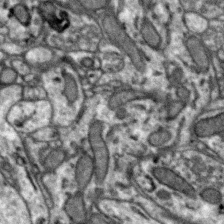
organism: Zebra finch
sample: Brain